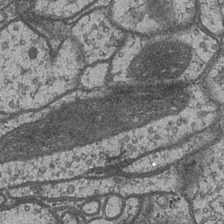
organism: Drosophila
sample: Optic medulla